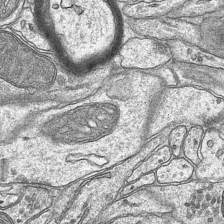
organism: Mouse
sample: CA1 Hippocampus